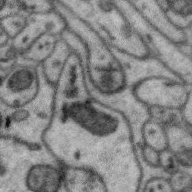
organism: Zebra finch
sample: Brain